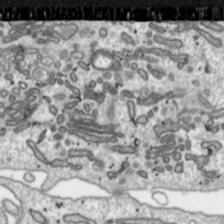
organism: Toxoplasma gondii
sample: Parasites in a vacuole inside a host cell